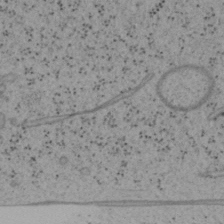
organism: Human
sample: HeLa cells